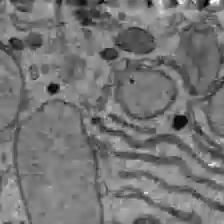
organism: C57BL Mouse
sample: Liver